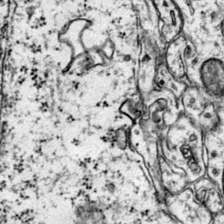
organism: Mouse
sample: Primary visual cortex